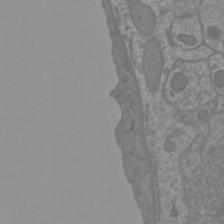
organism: Mouse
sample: Cortical neurons